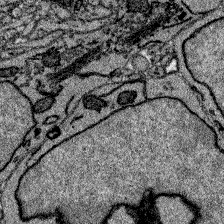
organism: Zebrafish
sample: Larval olfactory bulb